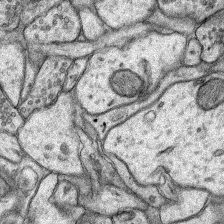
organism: Rat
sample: Hippocampus